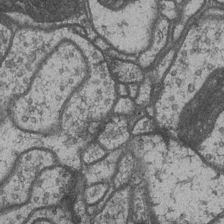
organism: Drosophila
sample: Optic medulla